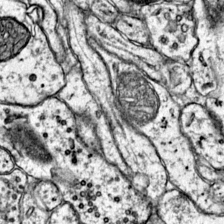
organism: Mouse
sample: Primary visual cortex